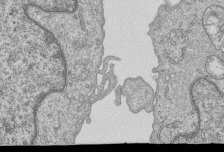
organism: Human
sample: MDA-MB-231 cells